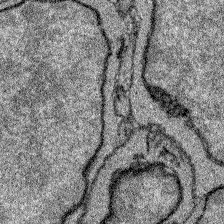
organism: Zebrafish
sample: Larval olfactory bulb